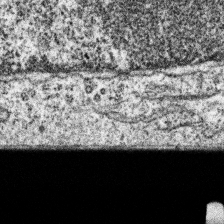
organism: Human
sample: HeLa cells